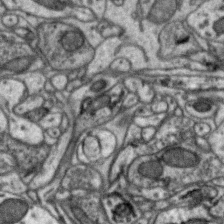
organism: Zebra finch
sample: Brain